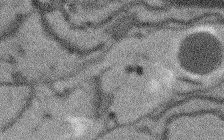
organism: Arabidopsis thaliana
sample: Root tip